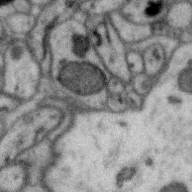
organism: Zebra finch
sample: Brain